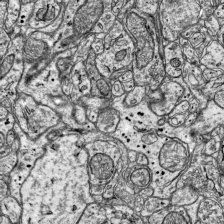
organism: Mouse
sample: Visual Cortex